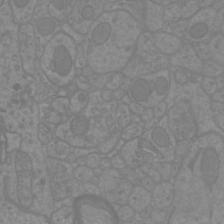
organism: Mouse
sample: Cortical neurons